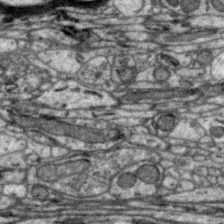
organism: Zebra finch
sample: Brain